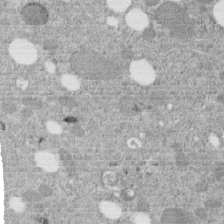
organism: C. elegans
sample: C. elegans embryo early stage